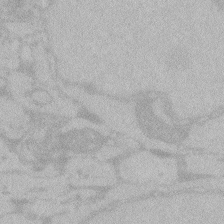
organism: Zebrafish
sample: Macrophage infected with Toxoplasma gondii